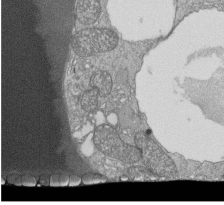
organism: Tetrahymena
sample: Cilia in tetrahymena